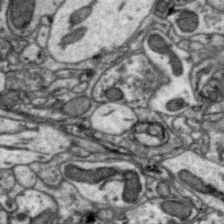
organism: Zebra finch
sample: Brain